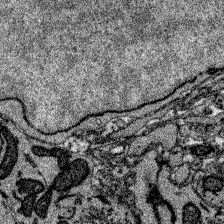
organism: Zebrafish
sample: Larval olfactory bulb